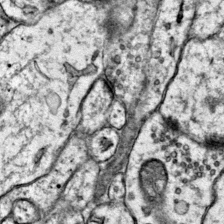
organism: Mouse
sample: Primary visual cortex